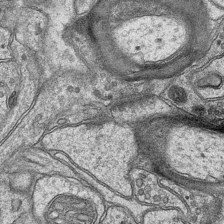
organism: Mouse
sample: CA1 Hippocampus